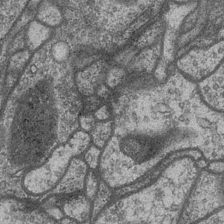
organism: Drosophila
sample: Optic medulla